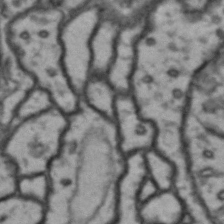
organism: Drosophila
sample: Brain